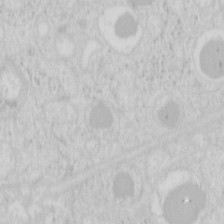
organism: Mouse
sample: Pancreas